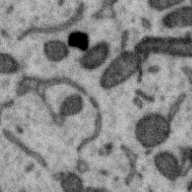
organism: Zebra finch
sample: Brain